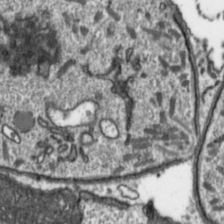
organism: Toxoplasma gondii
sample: Parasites in a vacuole inside a host cell